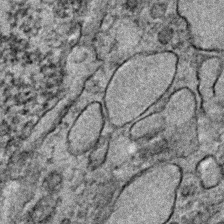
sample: Trachea